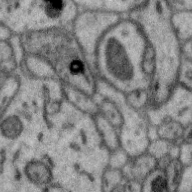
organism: Zebra finch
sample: Brain